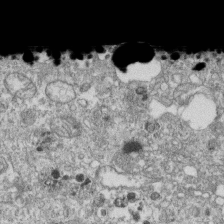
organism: Human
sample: HeLa cell HIV synapse